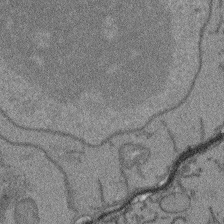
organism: Arabidopsis thaliana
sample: Root tip